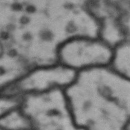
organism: Drosophila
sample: Brain